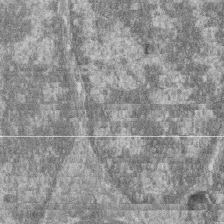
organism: Zebrafish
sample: Cilia; retinal pigment epithelium